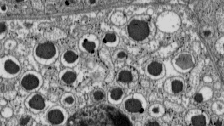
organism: C57BL Mouse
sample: Pancreatic islet